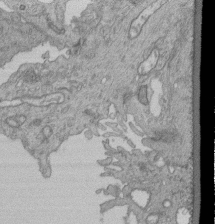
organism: Human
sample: Retinal organoid Rod and Cone cells